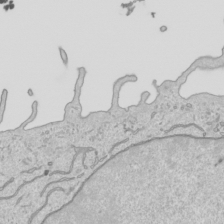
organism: Human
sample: Mitochondria in HCT116 cells